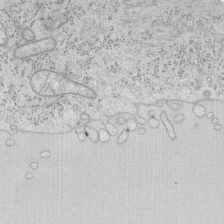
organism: Mouse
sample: OT-I killer T cells with ID8 ovarian cancer cells